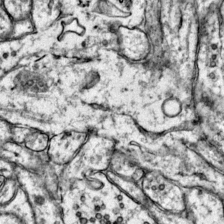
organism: Mouse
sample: Primary visual cortex